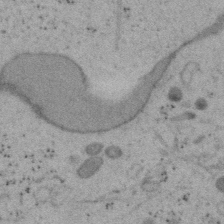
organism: Human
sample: HeLa cells